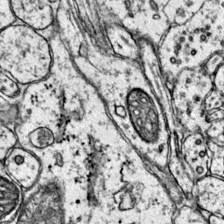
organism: Mouse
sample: Primary visual cortex